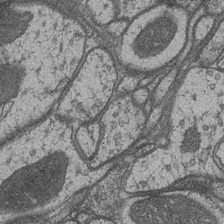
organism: Drosophila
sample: Optic medulla